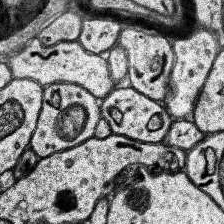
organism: Human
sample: Temporal Lobe